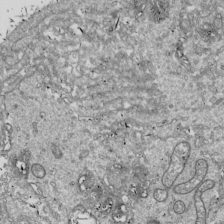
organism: Drosophila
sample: Cell division; meiosis; drosophila spermatocytes